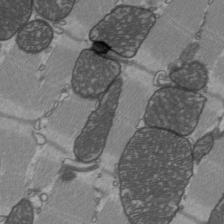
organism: C57BL Mouse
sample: Heart